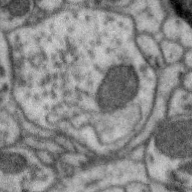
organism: Zebra finch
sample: Brain